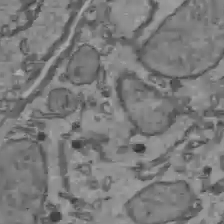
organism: C57BL Mouse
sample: Liver